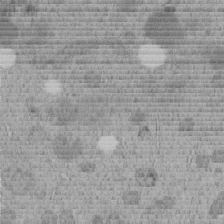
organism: C. elegans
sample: C. elegans embryo early stage